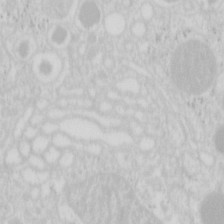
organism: Mouse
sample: Pancreas